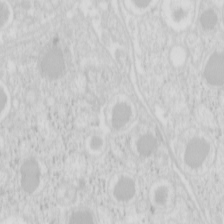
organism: Mouse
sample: Pancreas